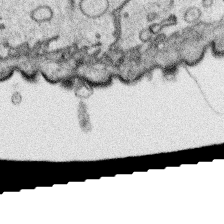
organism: Platynereis dumerilii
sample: Parapodia